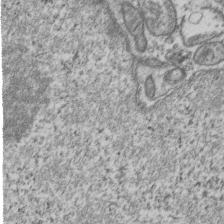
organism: Human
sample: Activated Jurkat CD4+ T cells